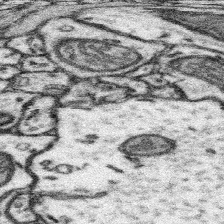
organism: Mouse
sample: Somatosensory cortex neuropil